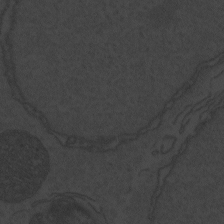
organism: Zebrafish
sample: Macrophage infected with Toxoplasma gondii